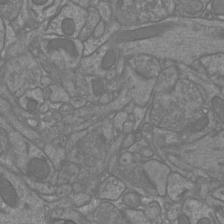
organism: Mouse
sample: Cortical neurons